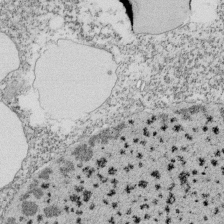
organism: Tetrahymena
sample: Cilia in tetrahymena